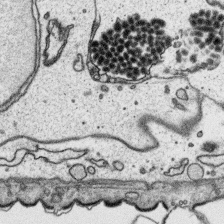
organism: Platynereis dumerilii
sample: Parapodia